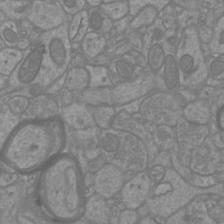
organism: Mouse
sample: Cortical neurons